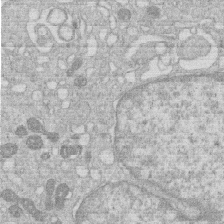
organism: Human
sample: Macrophage cells